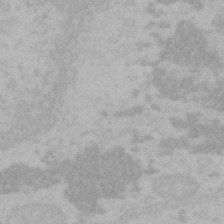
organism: Mouse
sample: Choroid plexus